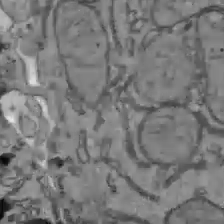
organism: C57BL Mouse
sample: Liver